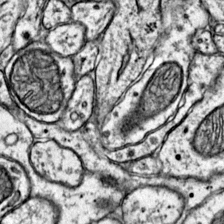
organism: Mouse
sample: Primary visual cortex